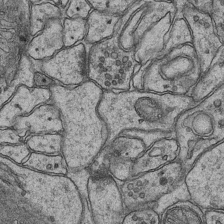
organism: Mouse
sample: CA1 Hippocampus